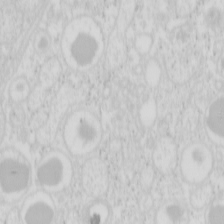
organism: Mouse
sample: Pancreas